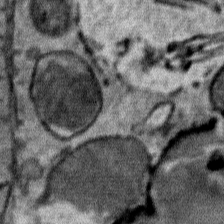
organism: Mouse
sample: Mouse Salivary gland